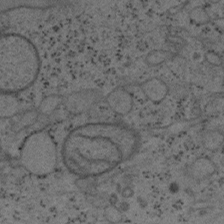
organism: Human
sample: HeLa cells